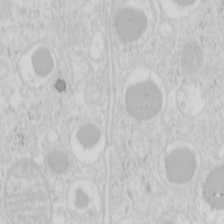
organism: Mouse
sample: Pancreas